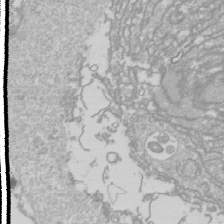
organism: Drosophila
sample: Cell division; meiosis; drosophila spermatocytes